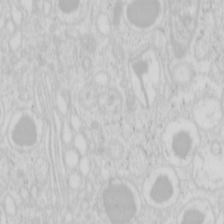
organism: Mouse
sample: Pancreas